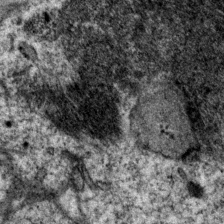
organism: P. pacificus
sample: Pharynx